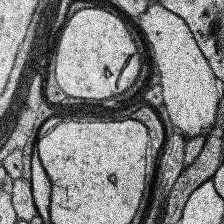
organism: Human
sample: Temporal Lobe